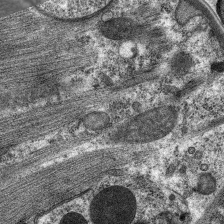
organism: C. elegans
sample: Pharynx